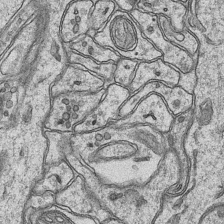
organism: Mouse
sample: CA1 Hippocampus